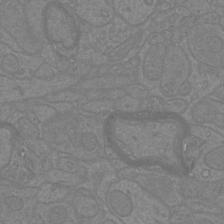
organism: Mouse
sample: Cortical neurons